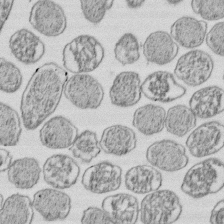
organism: E. coli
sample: Bacterial nucleoid